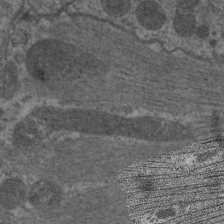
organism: C. elegans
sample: Pharynx